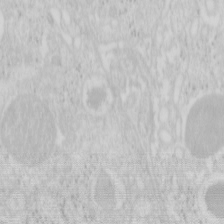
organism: Mouse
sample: Pancreas